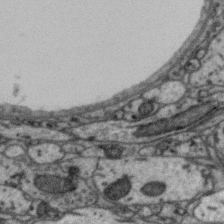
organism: Zebra finch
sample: Brain